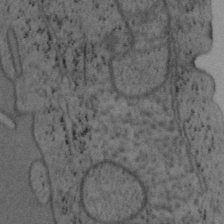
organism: Human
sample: HeLa cells